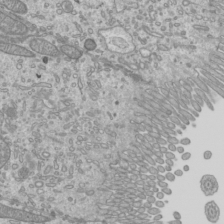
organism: Mouse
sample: Cilia; mouse epididymis